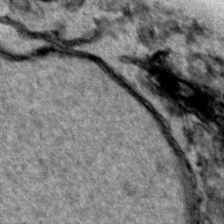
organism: Human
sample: Mitochondria in HCT116 cells